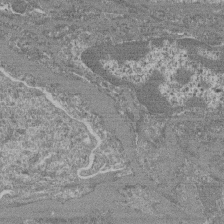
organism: Mouse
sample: Glomerulus